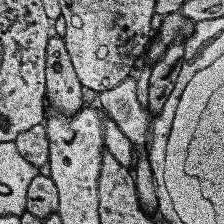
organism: Human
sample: Temporal Lobe